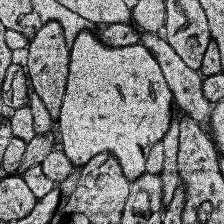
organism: Human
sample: Temporal Lobe